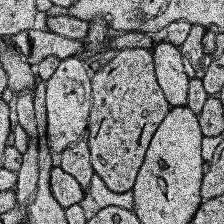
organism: Human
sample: Temporal Lobe